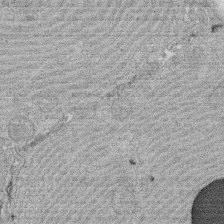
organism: Rat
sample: Salivary granule